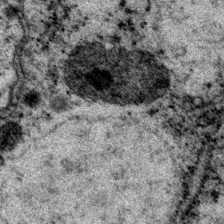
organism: P. pacificus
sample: Pharynx